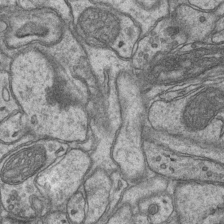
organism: Mouse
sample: CA1 Hippocampus